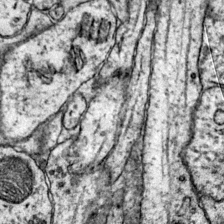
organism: Mouse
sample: Primary visual cortex